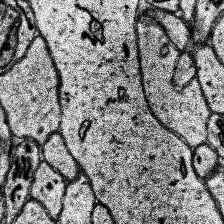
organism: Human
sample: Temporal Lobe